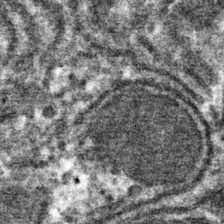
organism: Mouse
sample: Mouse hepatocytes